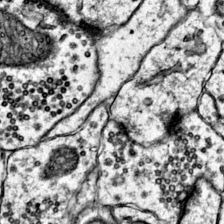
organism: Mouse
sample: Primary visual cortex